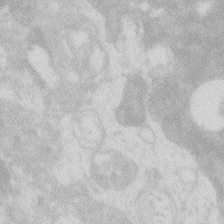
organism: Zebrafish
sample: Macrophage